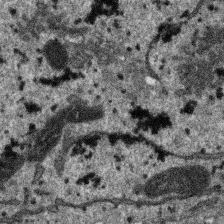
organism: Human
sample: Lung epithelial cells infected with SARS-CoV-2